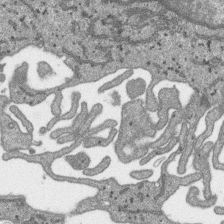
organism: Human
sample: Lung epithelial cells infected with SARS-CoV-2